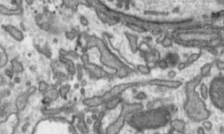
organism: Toxoplasma gondii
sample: Parasites in a vacuole inside a host cell